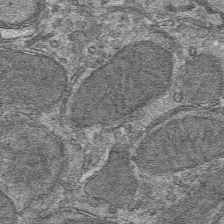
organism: Mouse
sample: Mouse hepatocytes